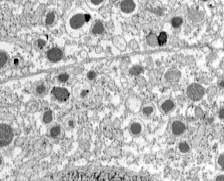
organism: C57BL Mouse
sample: Pancreatic islet